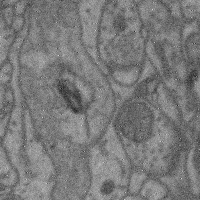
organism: Mouse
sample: Cerebral cortex